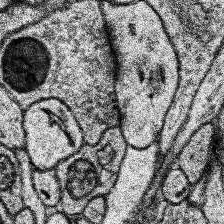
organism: Human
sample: Temporal Lobe